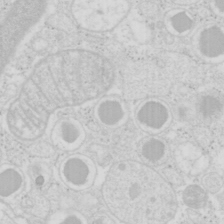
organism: Mouse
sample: Pancreas